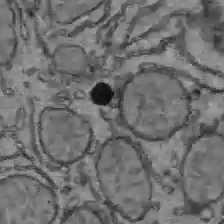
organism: C57BL Mouse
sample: Liver